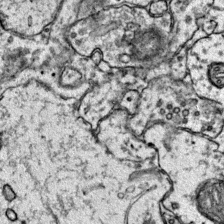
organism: Mouse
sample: Primary visual cortex